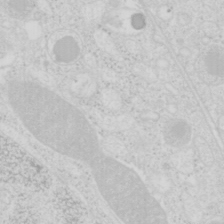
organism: Mouse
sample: Pancreas